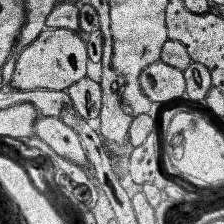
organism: Human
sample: Temporal Lobe